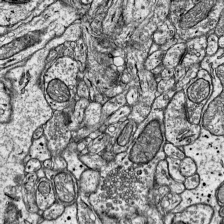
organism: Mouse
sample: Visual Cortex